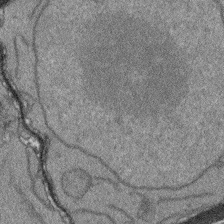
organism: Arabidopsis thaliana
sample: Root tip